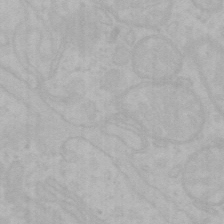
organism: Mouse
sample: Choroid plexus